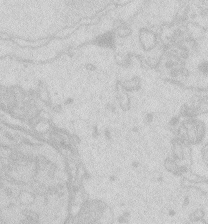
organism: Zebrafish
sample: Macrophage